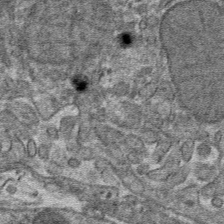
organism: Mouse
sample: Mouse hepatocytes